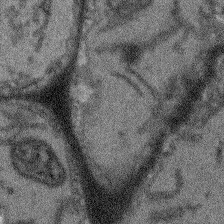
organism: Arabidopsis thaliana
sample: Root tip